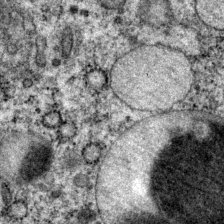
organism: P. pacificus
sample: Pharynx